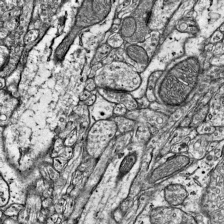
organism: Mouse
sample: Visual Cortex